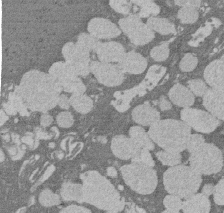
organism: Rat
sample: Salivary granule